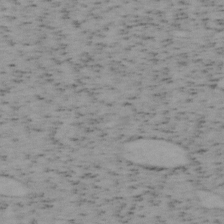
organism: Mouse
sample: OT-I killer T cells with ID8 ovarian cancer cells